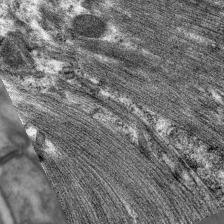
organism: C. elegans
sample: Pharynx